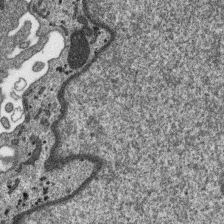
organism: Human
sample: Lung epithelial cells infected with SARS-CoV-2